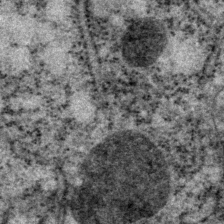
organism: P. pacificus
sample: Pharynx